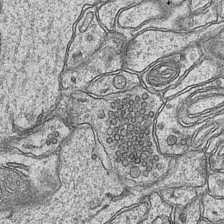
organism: Mouse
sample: CA1 Hippocampus